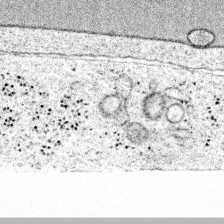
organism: Human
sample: HeLa cells